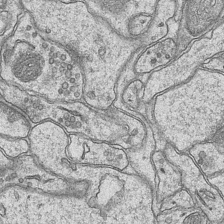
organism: Mouse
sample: CA1 Hippocampus